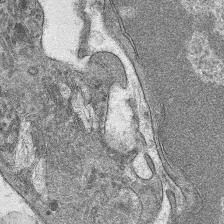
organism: Mouse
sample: Mouse hepatocytes